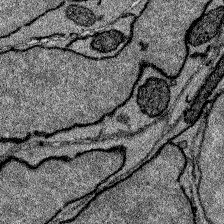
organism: Zebrafish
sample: Larval olfactory bulb